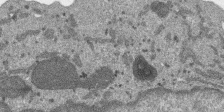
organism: Human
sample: Lung epithelial cells infected with SARS-CoV-2